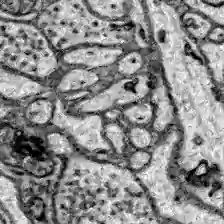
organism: Zebrafish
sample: Brain